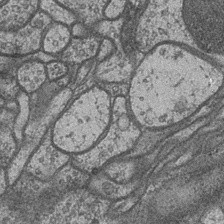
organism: Drosophila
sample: Optic medulla